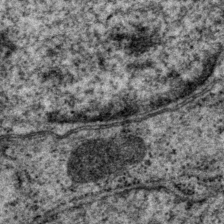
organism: P. pacificus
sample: Pharynx